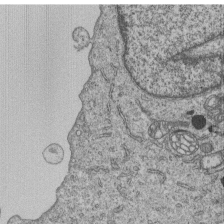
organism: Human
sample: MDA-MB-231 cells